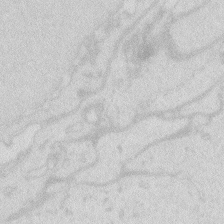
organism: Zebrafish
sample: Macrophage